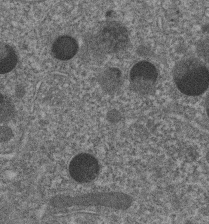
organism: C. elegans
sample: C. elegans embryo early stage